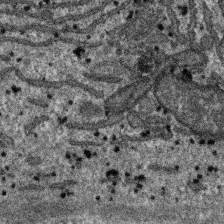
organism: Human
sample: Lung epithelial cells infected with SARS-CoV-2